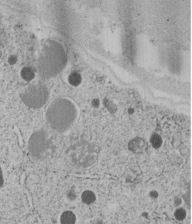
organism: C. elegans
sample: C. elegans embryo early stage